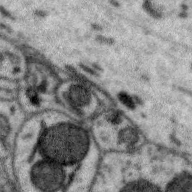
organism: Zebra finch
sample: Brain